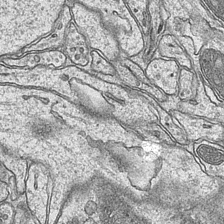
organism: Mouse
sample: CA1 Hippocampus